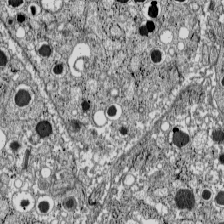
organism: C57BL Mouse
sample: Pancreatic islet